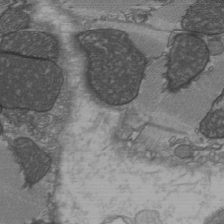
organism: C57BL Mouse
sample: Heart